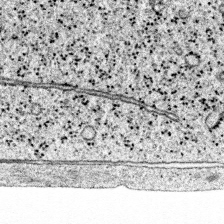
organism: Human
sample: HeLa cells